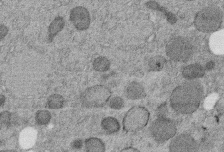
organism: C. elegans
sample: C. elegans embryo early stage